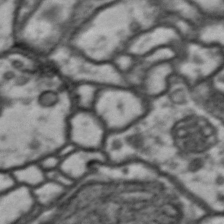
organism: Drosophila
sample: Brain